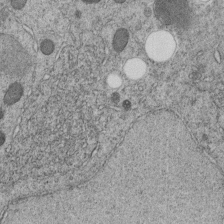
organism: C. elegans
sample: C. elegans embryo early stage